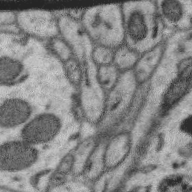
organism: Zebra finch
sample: Brain